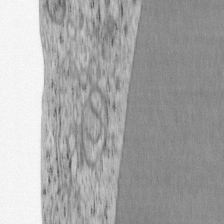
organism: Human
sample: HeLa cells